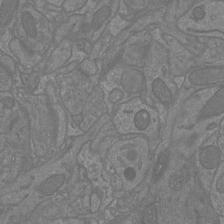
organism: Mouse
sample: Cortical neurons